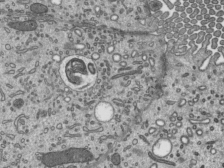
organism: Mouse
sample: Mouse epididymis efferent ductule cilia